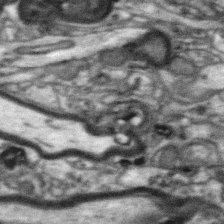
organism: Zebra finch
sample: Brain